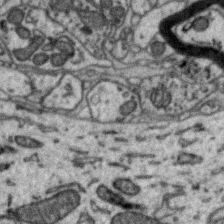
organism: Zebra finch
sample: Brain